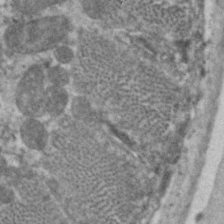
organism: C. elegans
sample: Pharynx